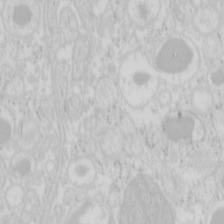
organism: Mouse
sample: Pancreas